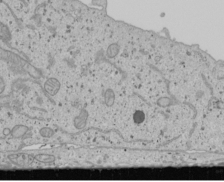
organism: Human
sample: Mitochondria in U2OS cells